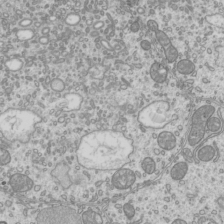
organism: Mouse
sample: Cilia; mouse epididymis